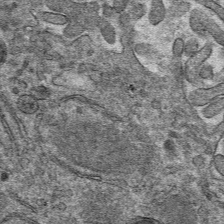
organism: Mouse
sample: Mouse hepatocytes